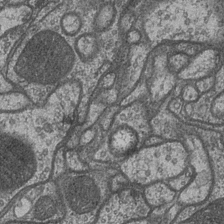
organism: Drosophila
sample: Optic medulla